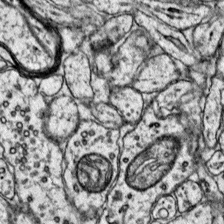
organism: Mouse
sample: Primary visual cortex